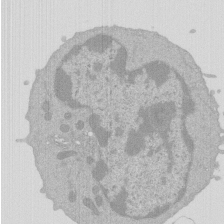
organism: Mouse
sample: Activated Pmel transgenic CD8+ T Cells